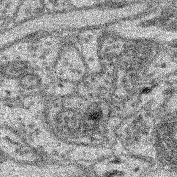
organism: Mouse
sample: Retina